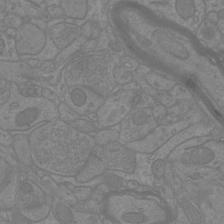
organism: Mouse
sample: Cortical neurons